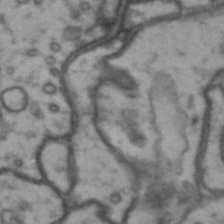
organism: Drosophila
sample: Brain